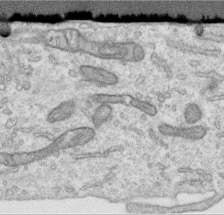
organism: Human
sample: Centriole in RPE cells